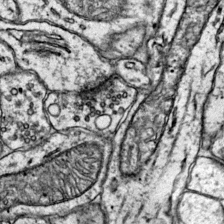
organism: Mouse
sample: Primary visual cortex